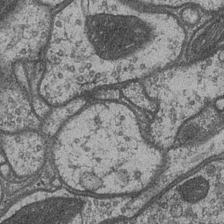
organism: Drosophila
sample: Optic medulla